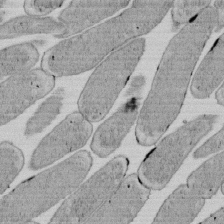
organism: E. coli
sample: Bacterial nucleoid